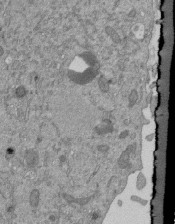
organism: Mouse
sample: ED-1 cell nuclei; centrioles